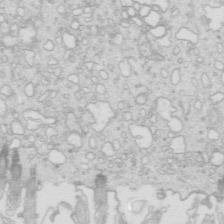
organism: Mouse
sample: Multiciliated cells